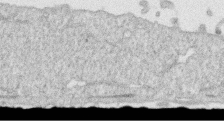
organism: Human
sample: HeLa cell HIV synapse